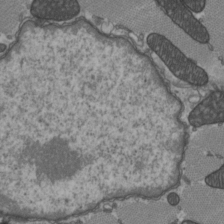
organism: C57BL Mouse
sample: Heart